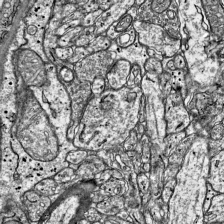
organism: Mouse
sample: Visual Cortex